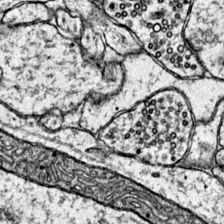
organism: Mouse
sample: Primary visual cortex